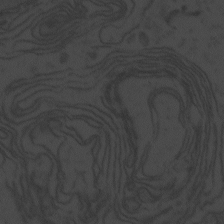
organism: Zebrafish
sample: Macrophage infected with Toxoplasma gondii